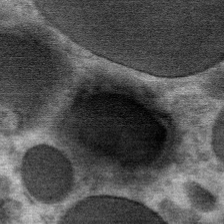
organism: Mouse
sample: Mouse Salivary gland